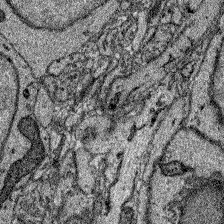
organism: Zebrafish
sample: Larval olfactory bulb